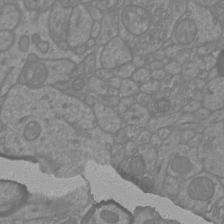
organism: Mouse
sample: Cortical neurons